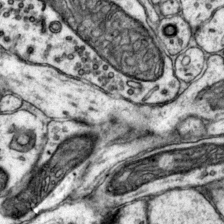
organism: Mouse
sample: Primary visual cortex